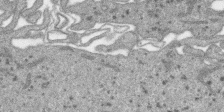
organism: Human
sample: Lung epithelial cells infected with SARS-CoV-2